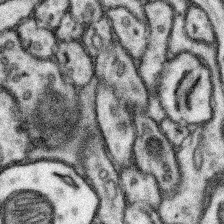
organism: Mouse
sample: Somatosensory cortex neuropil